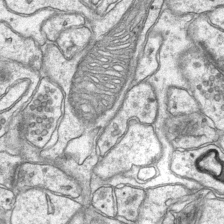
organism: Mouse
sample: CA1 Hippocampus